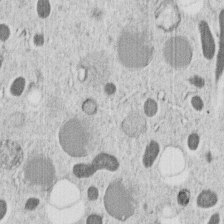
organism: C. elegans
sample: C. elegans embryo early stage